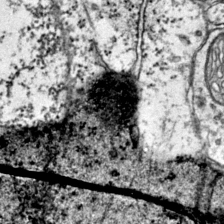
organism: Mouse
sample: Primary visual cortex